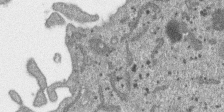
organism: Human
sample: Lung epithelial cells infected with SARS-CoV-2